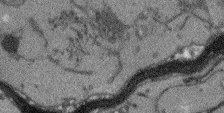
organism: Arabidopsis thaliana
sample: Root tip